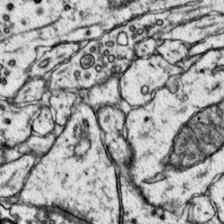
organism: Mouse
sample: Primary visual cortex